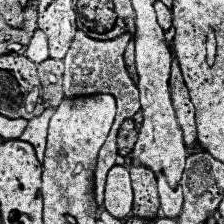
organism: Human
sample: Temporal Lobe